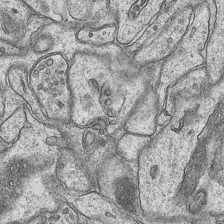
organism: Mouse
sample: CA1 Hippocampus